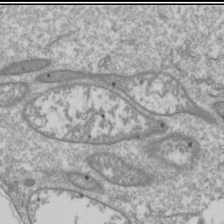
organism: Drosophila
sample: Cell division; meiosis; drosophila spermatocytes